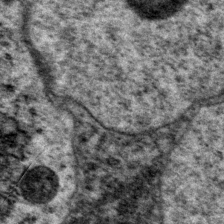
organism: P. pacificus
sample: Pharynx